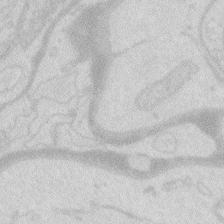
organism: Zebrafish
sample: Macrophage